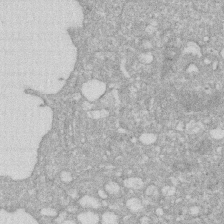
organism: Human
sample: HIV infected U937 cells